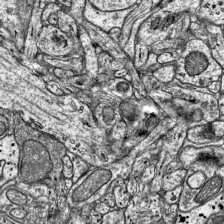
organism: Mouse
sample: Visual Cortex